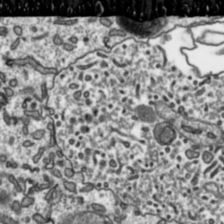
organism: Toxoplasma gondii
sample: Parasites in a vacuole inside a host cell